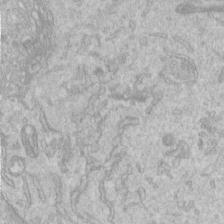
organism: Human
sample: Centriole in RPE cells